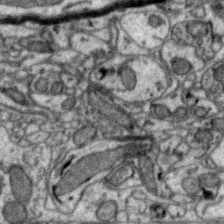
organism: Zebra finch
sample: Brain